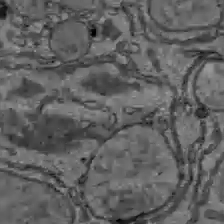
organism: C57BL Mouse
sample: Liver